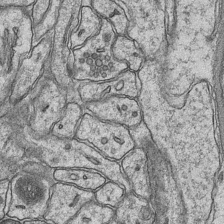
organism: Mouse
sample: CA1 Hippocampus